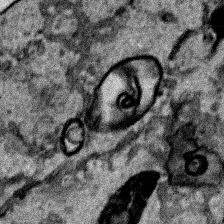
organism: Human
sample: Mitochondria in HCT116 cells